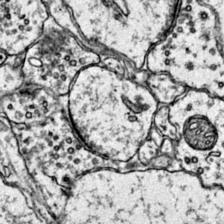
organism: Mouse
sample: Primary visual cortex